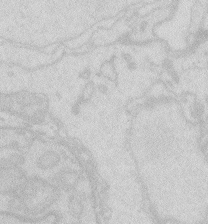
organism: Zebrafish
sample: Macrophage